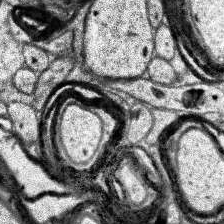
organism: Human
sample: Temporal Lobe